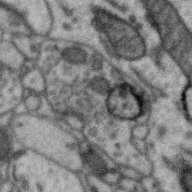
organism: Zebra finch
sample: Brain